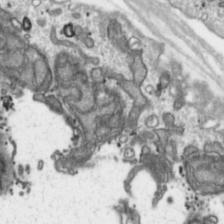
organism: Toxoplasma gondii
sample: Parasites in a vacuole inside a host cell